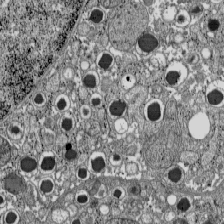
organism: C57BL Mouse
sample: Pancreatic islet